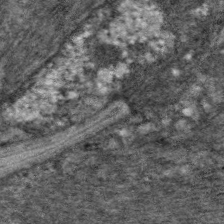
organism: C. elegans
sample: Pharynx